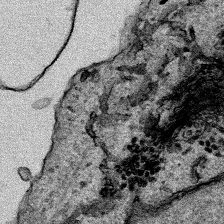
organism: Human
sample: Mitochondria in HCT116 cells